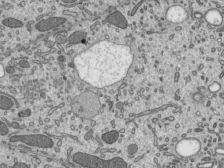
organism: Mouse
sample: Mouse epididymis efferent ductule cilia